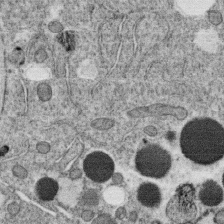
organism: C. elegans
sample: C. elegans oocyte; sperm cells